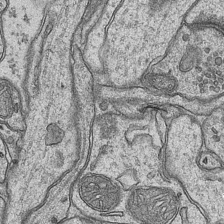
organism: Mouse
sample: CA1 Hippocampus